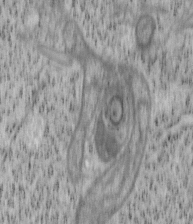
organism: Human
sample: HeLa cells